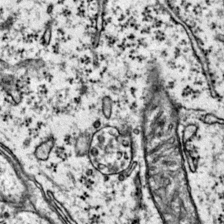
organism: Mouse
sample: Primary visual cortex